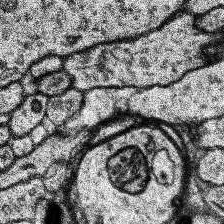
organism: Human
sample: Temporal Lobe